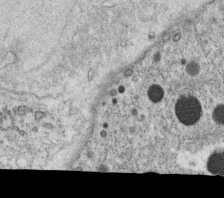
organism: C. elegans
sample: C. elegans oocyte; sperm cells